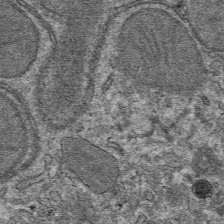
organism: Mouse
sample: Mouse hepatocytes